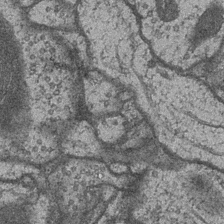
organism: Drosophila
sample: Optic medulla